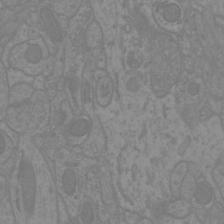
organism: Mouse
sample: Cortical neurons